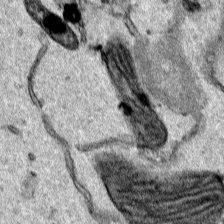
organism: Human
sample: Mitochondria in HCT116 cells